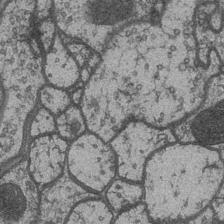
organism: Drosophila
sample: Optic medulla